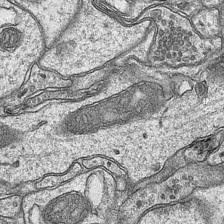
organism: Mouse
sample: CA1 Hippocampus